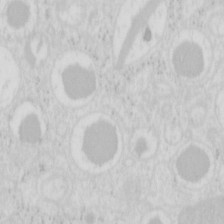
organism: Mouse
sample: Pancreas